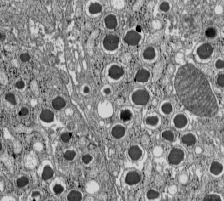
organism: C57BL Mouse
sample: Pancreatic islet